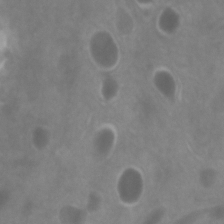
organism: Zebrafish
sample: Zebrafish embryo